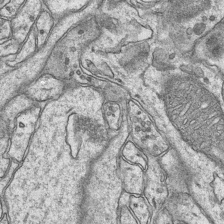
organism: Mouse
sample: CA1 Hippocampus